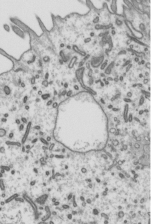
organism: Mouse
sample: Mouse epididymis efferent ductule cilia